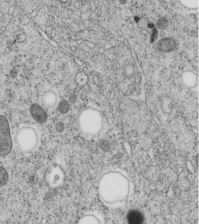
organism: C. elegans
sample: C. elegans embryo early stage